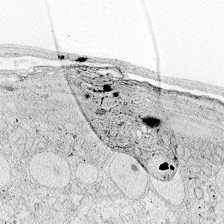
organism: Zebrafish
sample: Whole-Brain